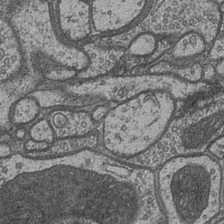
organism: Drosophila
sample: Optic medulla